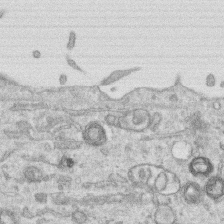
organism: Human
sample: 1205lu cells